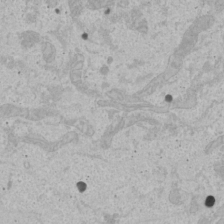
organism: Human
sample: Mitochondria in U2OS cells